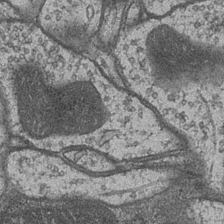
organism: Drosophila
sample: Optic medulla